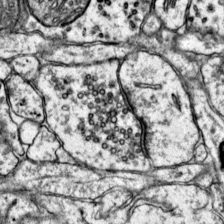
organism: Mouse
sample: Primary visual cortex